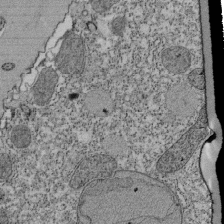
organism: Tetrahymena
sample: Cilia in tetrahymena